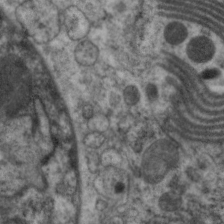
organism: C. elegans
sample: Pharynx